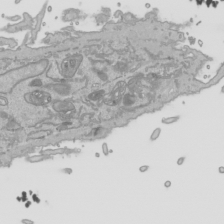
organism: Human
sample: Mitochondria in HCT116 cells